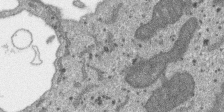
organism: Human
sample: Lung epithelial cells infected with SARS-CoV-2